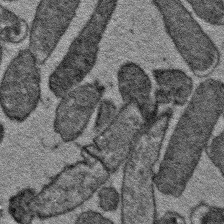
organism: E. coli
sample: E. Coli Bacteria